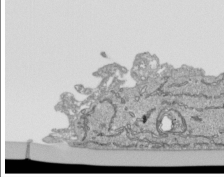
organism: Human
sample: Mitochondria in HCT116 cells